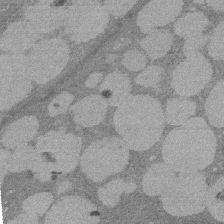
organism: Rat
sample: Salivary granule